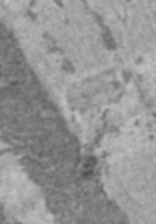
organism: C57BL Mouse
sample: Heart